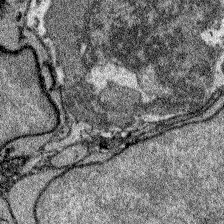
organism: Zebrafish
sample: Larval olfactory bulb